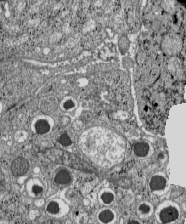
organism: C57BL Mouse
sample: Pancreatic islet